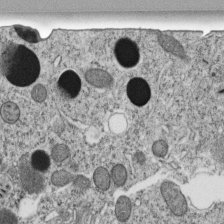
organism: C. elegans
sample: C. elegans embryo early stage